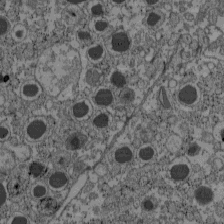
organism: C57BL Mouse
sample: Pancreatic islet